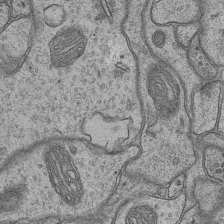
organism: Mouse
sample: CA1 Hippocampus